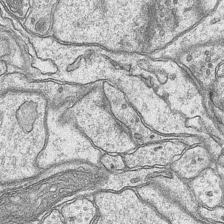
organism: Mouse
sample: CA1 Hippocampus